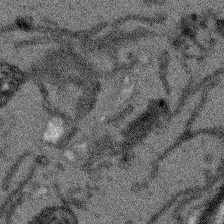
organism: Arabidopsis thaliana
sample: Root tip